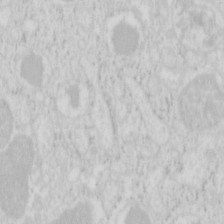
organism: Mouse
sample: Pancreas